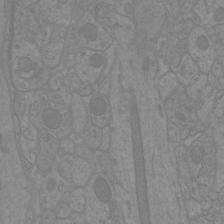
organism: Mouse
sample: Cortical neurons